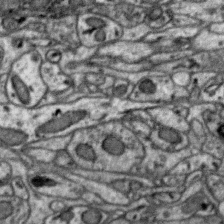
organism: Zebra finch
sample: Brain